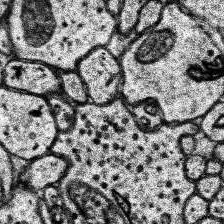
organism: Human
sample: Temporal Lobe